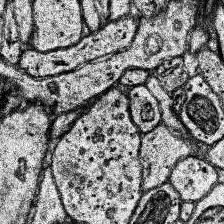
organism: Human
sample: Temporal Lobe